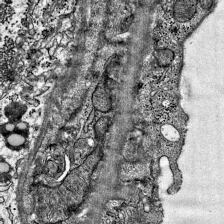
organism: Mouse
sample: Visual Cortex